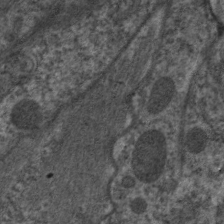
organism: C. elegans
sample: Pharynx